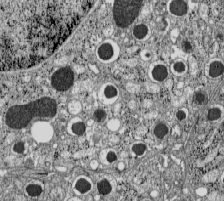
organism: C57BL Mouse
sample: Pancreatic islet